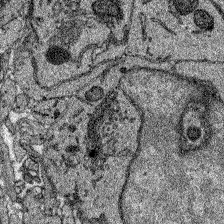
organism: Zebrafish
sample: Larval olfactory bulb